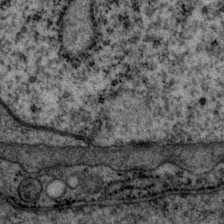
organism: P. pacificus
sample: Pharynx